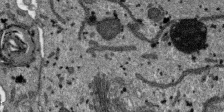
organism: Human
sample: Lung epithelial cells, uninfected (mock) control